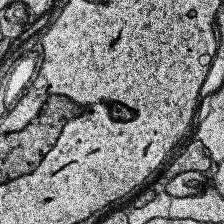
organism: Human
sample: Temporal Lobe